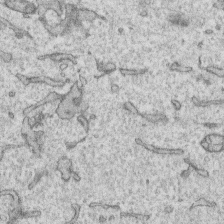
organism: Human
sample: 1205lu cells